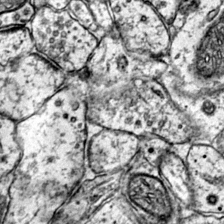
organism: Mouse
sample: Primary visual cortex